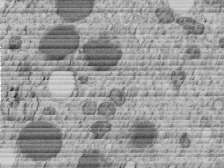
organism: C. elegans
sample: C. elegans embryo early stage